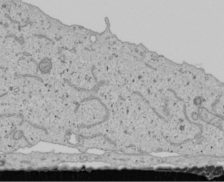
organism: Human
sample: Mitochondria in U2OS cells